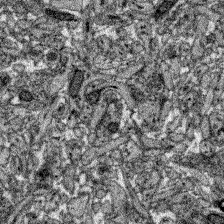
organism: Zebrafish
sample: Larval olfactory bulb